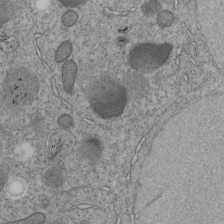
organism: C. elegans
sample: C. elegans embryo early stage